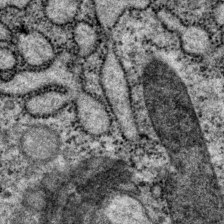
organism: P. pacificus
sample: Pharynx